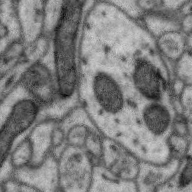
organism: Zebra finch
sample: Brain